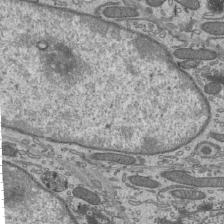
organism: Mouse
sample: Mouse epididymis efferent ductule cilia